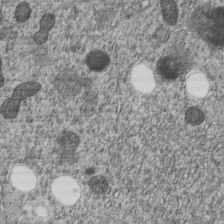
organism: C. elegans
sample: C. elegans embryo early stage